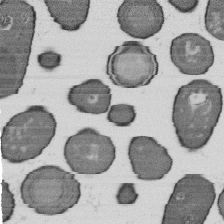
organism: B. subtilis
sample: Bacterial spore